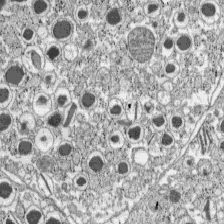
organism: C57BL Mouse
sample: Pancreatic islet